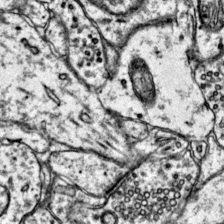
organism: Mouse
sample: Primary visual cortex